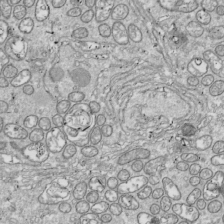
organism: Drosophila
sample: Cell division; meiosis; drosophila spermatocytes